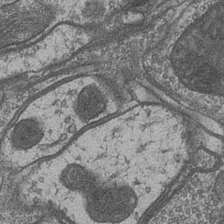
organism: Drosophila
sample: Optic medulla